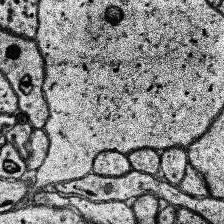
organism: Human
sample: Temporal Lobe